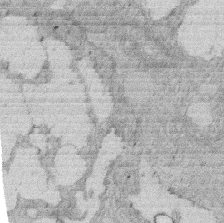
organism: Rat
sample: Salivary granule